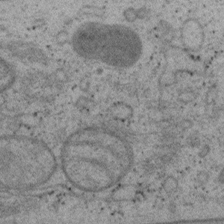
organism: Human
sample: HeLa cells